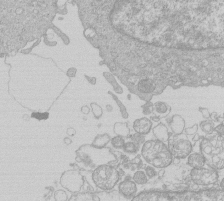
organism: Human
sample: Macrophage cells